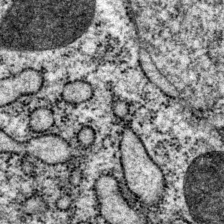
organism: P. pacificus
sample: Pharynx